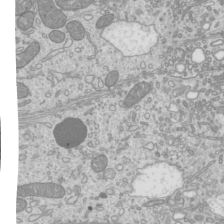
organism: Mouse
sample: Cilia; mouse epididymis